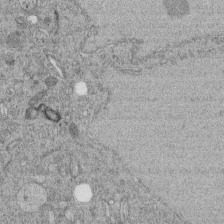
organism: C. elegans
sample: C. elegans embryo early stage